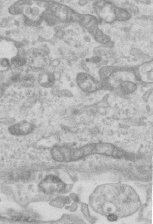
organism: Mouse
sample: Centriole in ependymal cells